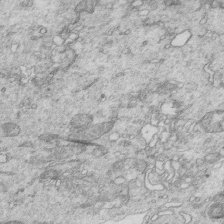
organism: Mouse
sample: Multiciliated cells